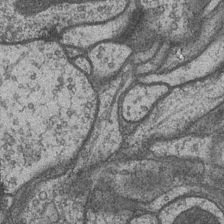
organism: Drosophila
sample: Optic medulla